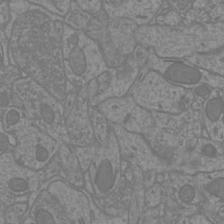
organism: Mouse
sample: Cortical neurons